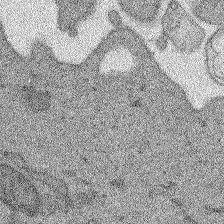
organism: Human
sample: HeLa cells